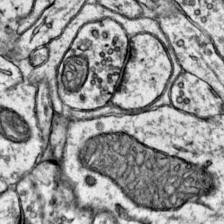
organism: Mouse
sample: Primary visual cortex